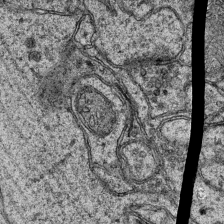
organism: Mouse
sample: CA1 Hippocampus